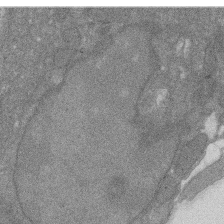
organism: Rat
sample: Salivary granule